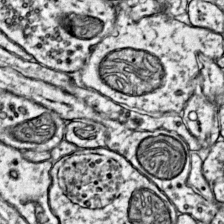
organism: Mouse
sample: Primary visual cortex